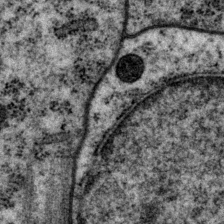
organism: P. pacificus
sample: Pharynx